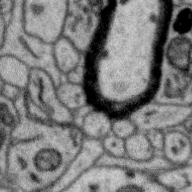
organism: Zebra finch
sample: Brain